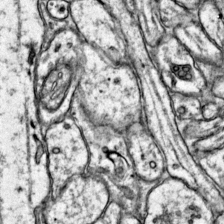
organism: Mouse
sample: Primary visual cortex